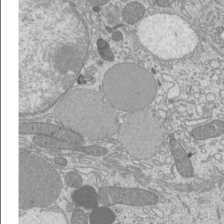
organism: Mouse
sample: Cilia; mouse epididymis